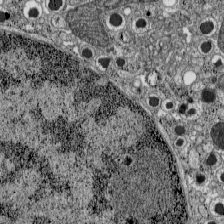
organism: C57BL Mouse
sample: Pancreatic islet